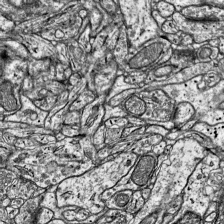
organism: Mouse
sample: Visual Cortex